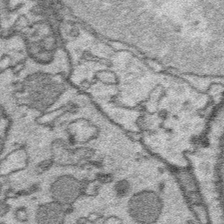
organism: Platynereis dumerilii